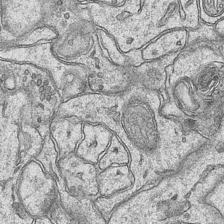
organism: Mouse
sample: CA1 Hippocampus